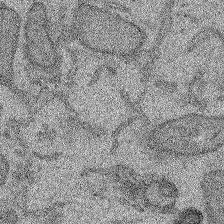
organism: Human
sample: HeLa cells